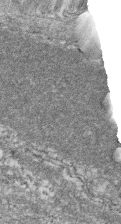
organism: Zebrafish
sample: Cilia; retinal pigment epithelium